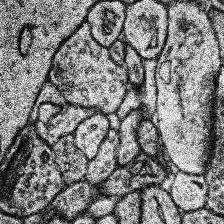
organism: Human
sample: Temporal Lobe